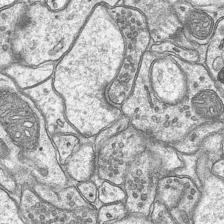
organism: Mouse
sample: CA1 Hippocampus